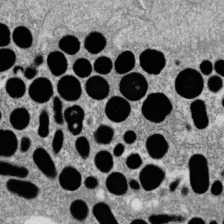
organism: Zebrafish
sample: Cilia; retinal pigment epithelium